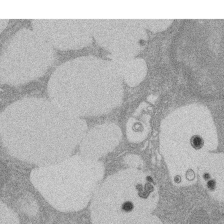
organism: Rat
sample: Salivary granule